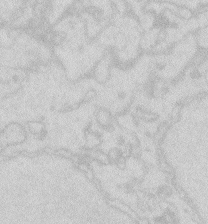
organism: Zebrafish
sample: Macrophage